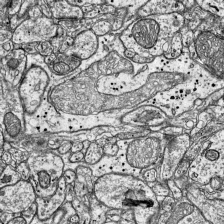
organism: Mouse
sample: Visual Cortex